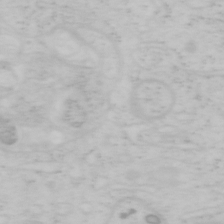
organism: Mouse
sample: OT-I killer T cells with ID8 ovarian cancer cells